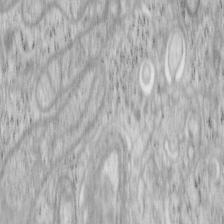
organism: Human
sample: HeLa cells